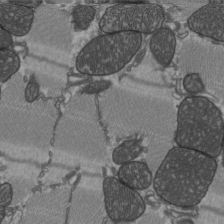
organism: C57BL Mouse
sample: Heart